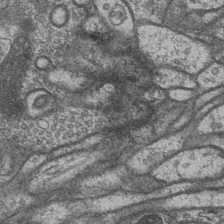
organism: Drosophila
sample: Optic medulla